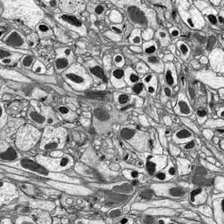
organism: Drosophila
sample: Optic lobe